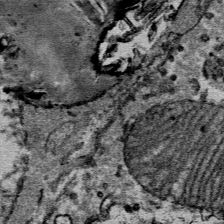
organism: Mouse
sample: Mouse Salivary gland